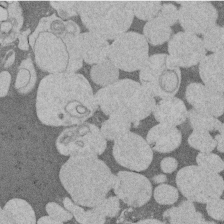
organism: Rat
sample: Salivary granule